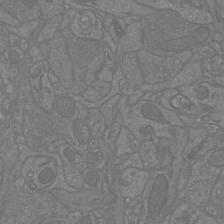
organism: Mouse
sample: Cortical neurons